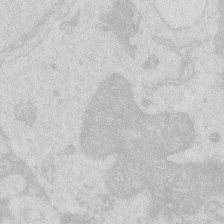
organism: Zebrafish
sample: Macrophage